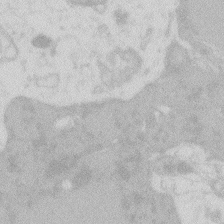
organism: Zebrafish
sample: Macrophage